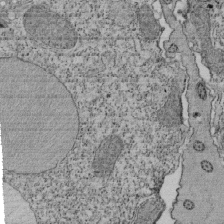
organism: Tetrahymena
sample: Cilia in tetrahymena